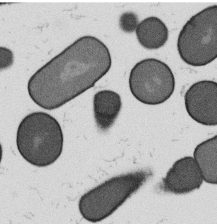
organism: B. subtilis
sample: Bacterial spore